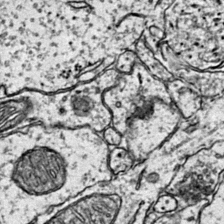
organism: Mouse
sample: Primary visual cortex